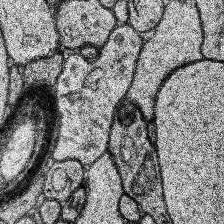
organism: Human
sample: Temporal Lobe